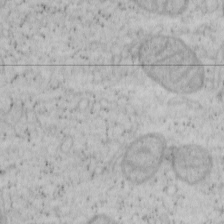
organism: Human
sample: HeLa cells